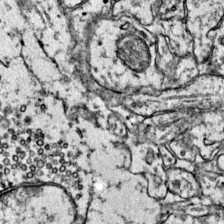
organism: Mouse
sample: Primary visual cortex